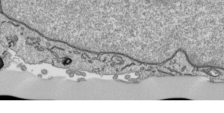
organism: Human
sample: Mitochondria in HCT116 cells